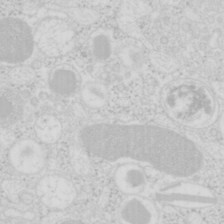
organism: Mouse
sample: Pancreas